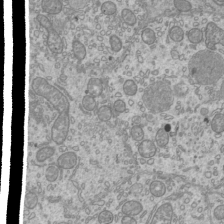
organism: Mouse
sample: Cilia; mouse epididymis